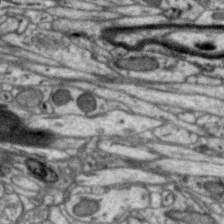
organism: Zebra finch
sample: Brain